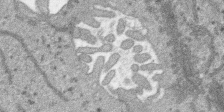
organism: Human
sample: Lung epithelial cells infected with SARS-CoV-2